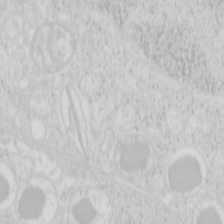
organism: Mouse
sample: Pancreas